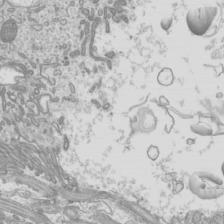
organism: Mouse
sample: Cilia; mouse epididymis